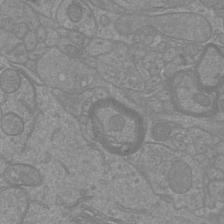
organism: Mouse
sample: Cortical neurons